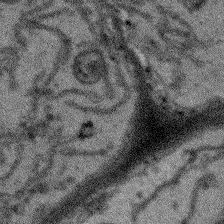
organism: Arabidopsis thaliana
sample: Root tip